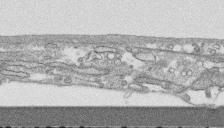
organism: Human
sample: CRL-1474